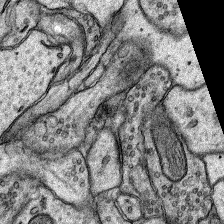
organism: Rat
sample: Hippocampus